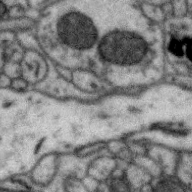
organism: Zebra finch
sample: Brain